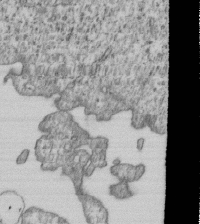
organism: Human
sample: MDA-MB-231 cells